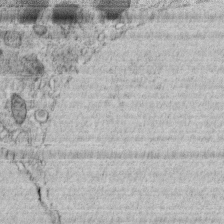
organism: C. elegans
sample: C. elegans embryo early stage